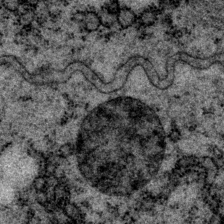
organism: P. pacificus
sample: Pharynx